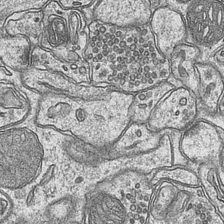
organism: Mouse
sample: CA1 Hippocampus